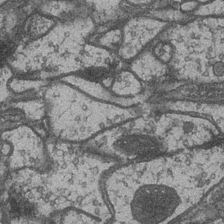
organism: Drosophila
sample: Optic medulla